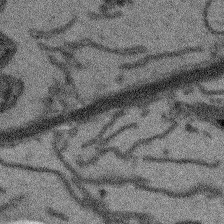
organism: Arabidopsis thaliana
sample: Root tip